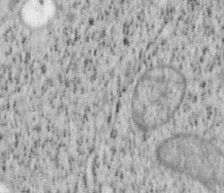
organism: Mouse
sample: OT-I killer T cells with ID8 ovarian cancer cells